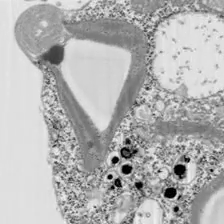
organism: Chlamydomonas reinhardtii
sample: Whole Cell